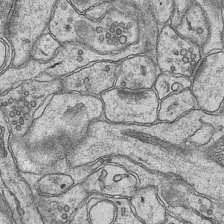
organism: Mouse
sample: CA1 Hippocampus